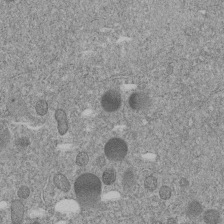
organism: C. elegans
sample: C. elegans embryo early stage